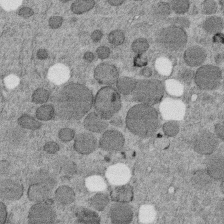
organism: C. elegans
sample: C. elegans embryo early stage